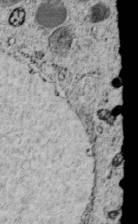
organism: C. elegans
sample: C. elegans embryo early stage